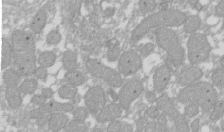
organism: Xenopus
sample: Cilia; centrioles in frog embryo cells